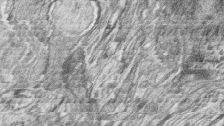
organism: Zebrafish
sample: synaptic ribbons in rod cells and cone cells